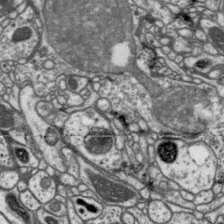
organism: Drosophila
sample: Protocerebral bridge